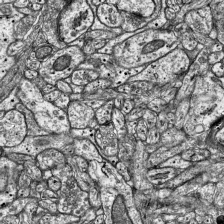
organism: Mouse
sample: Visual Cortex